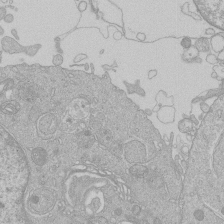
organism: Human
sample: Macrophage cells